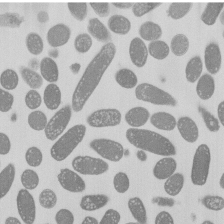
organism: E. coli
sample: Bacterial nucleoid